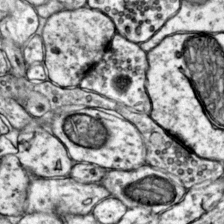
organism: Mouse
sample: Primary visual cortex